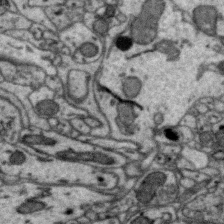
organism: Zebra finch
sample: Brain